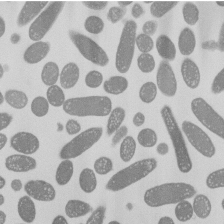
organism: E. coli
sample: Bacterial nucleoid